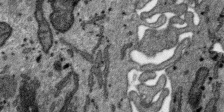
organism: Human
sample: Lung epithelial cells, uninfected (mock) control